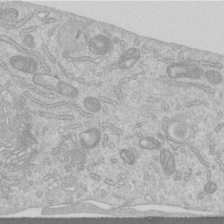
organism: Human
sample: Centriole in RPE cells